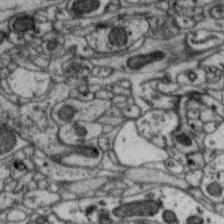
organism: Zebra finch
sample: Brain